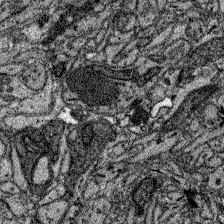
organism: Zebrafish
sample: Larval olfactory bulb